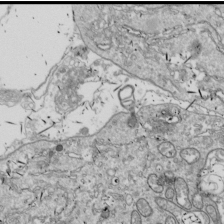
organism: Drosophila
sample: Cell division; meiosis; drosophila spermatocytes